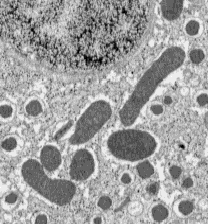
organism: C57BL Mouse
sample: Pancreatic islet